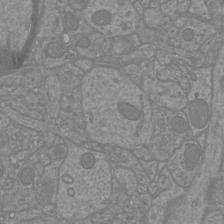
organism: Mouse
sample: Cortical neurons